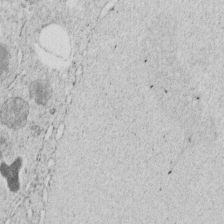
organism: C. elegans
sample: C. elegans embryo early stage